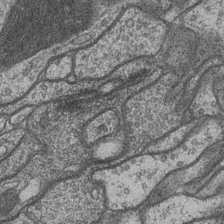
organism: Drosophila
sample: Optic medulla